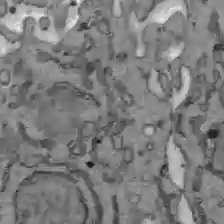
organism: C57BL Mouse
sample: Liver